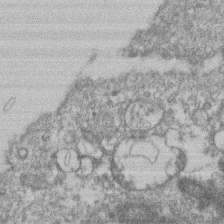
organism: Mouse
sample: T cell stromal cell synapse